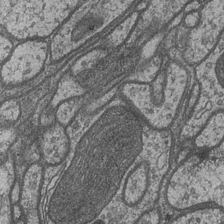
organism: Drosophila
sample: Optic medulla